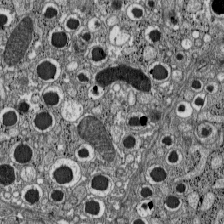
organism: C57BL Mouse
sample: Pancreatic islet